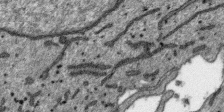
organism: Human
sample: Lung epithelial cells, uninfected (mock) control